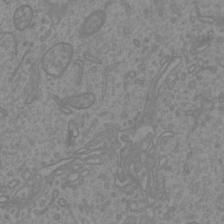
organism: Mouse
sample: Cortical neurons